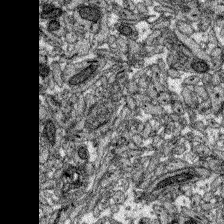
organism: Zebrafish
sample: Larval olfactory bulb